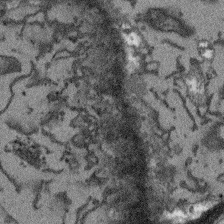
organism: Arabidopsis thaliana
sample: Root tip